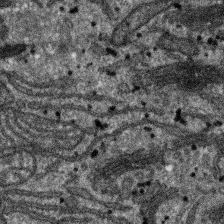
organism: Human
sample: Lung epithelial cells infected with SARS-CoV-2